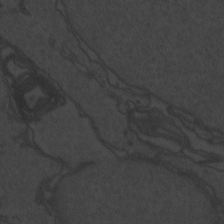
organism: Zebrafish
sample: Macrophage infected with Toxoplasma gondii